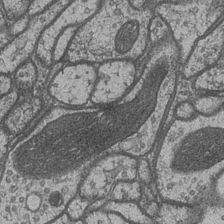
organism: Drosophila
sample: Optic medulla